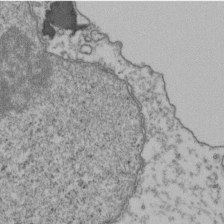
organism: Human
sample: Activated Jurkat CD4+ T cells